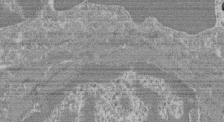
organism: Mouse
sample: Glomerulus